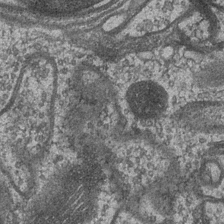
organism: Drosophila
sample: Optic medulla